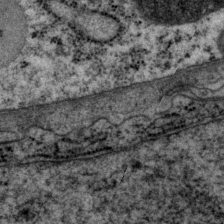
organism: P. pacificus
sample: Pharynx